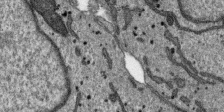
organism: Human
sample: Lung epithelial cells, uninfected (mock) control